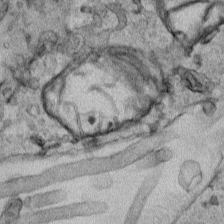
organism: Human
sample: Mitochondria in HCT116 cells